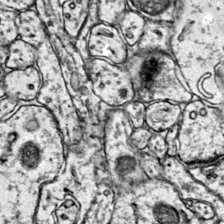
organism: Mouse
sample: Primary visual cortex